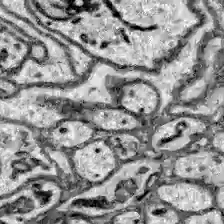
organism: Zebrafish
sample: Brain